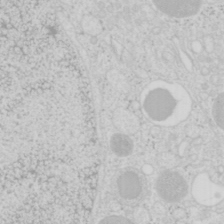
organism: Mouse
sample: Pancreas